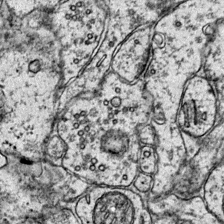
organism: Mouse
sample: Primary visual cortex